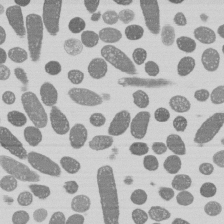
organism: E. coli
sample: Bacterial nucleoid